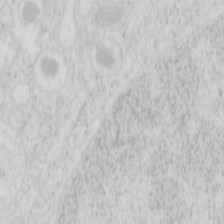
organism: Mouse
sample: Pancreas